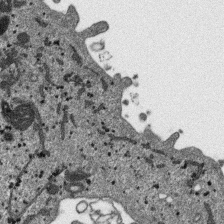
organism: Human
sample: Lung epithelial cells infected with SARS-CoV-2